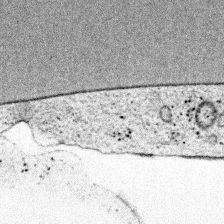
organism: Human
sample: HeLa cells